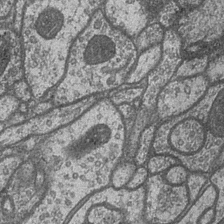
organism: Drosophila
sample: Optic medulla